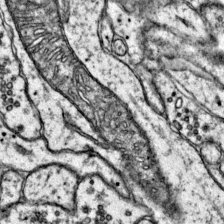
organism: Mouse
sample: Primary visual cortex